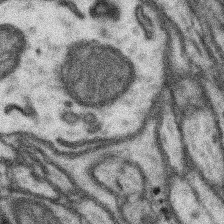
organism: Mouse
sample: Somatosensory cortex neuropil